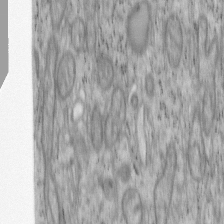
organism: Human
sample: HeLa cells